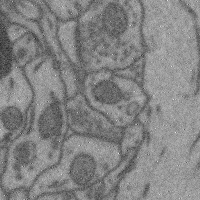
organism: Mouse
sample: Cerebral cortex